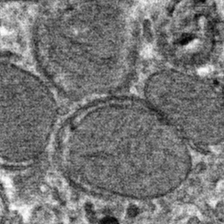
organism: Mouse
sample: Mouse hepatocytes